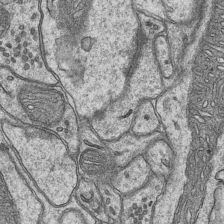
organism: Mouse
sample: CA1 Hippocampus